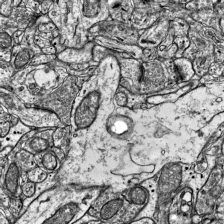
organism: Mouse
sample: Visual Cortex